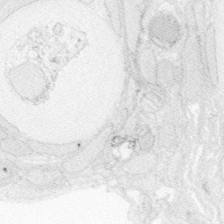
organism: Zebrafish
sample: Whole-Brain